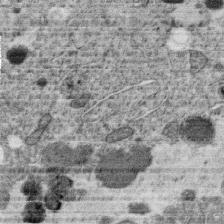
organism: C. elegans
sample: C. elegans oocyte; sperm cells